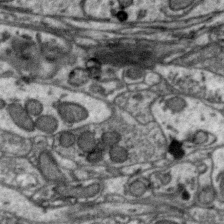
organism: Zebra finch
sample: Brain